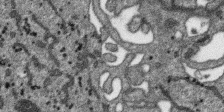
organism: Human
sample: Lung epithelial cells infected with SARS-CoV-2